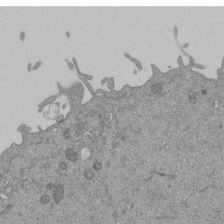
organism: Mouse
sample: ED-1 cell nuclei; centrioles